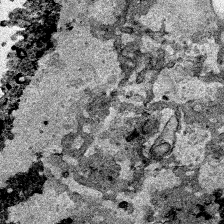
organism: Human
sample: Mitochondria in HCT116 cells